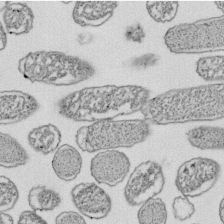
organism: E. coli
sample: Bacterial nucleoid